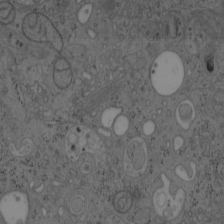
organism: Mouse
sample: OT-I killer T cells with ID8 ovarian cancer cells